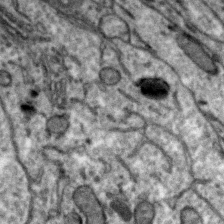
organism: Zebra finch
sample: Brain